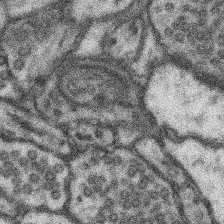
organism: Mouse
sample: Somatosensory cortex neuropil